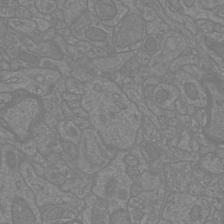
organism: Mouse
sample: Cortical neurons